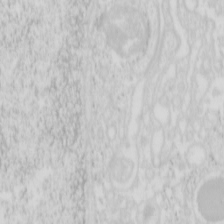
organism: Mouse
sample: Pancreas